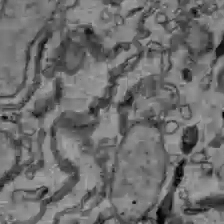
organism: C57BL Mouse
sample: Liver